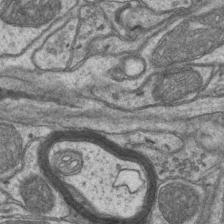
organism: Mouse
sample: CA1 Hippocampus